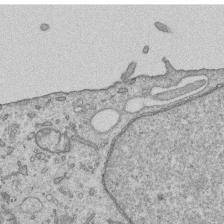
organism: Human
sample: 1205lu cells